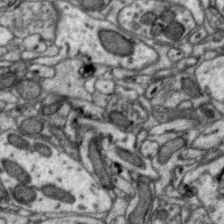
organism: Zebra finch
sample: Brain